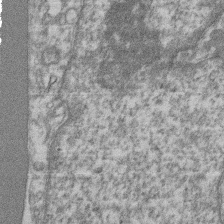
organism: Mouse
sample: T cell stromal cell synapse